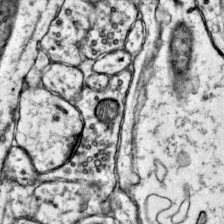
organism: Mouse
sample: Primary visual cortex